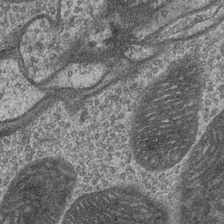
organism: Drosophila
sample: Optic medulla